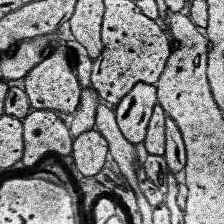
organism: Human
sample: Temporal Lobe